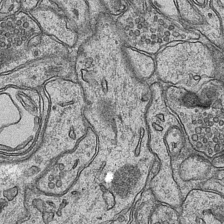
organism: Mouse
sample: CA1 Hippocampus